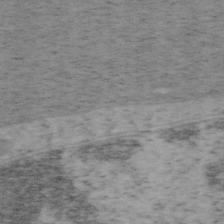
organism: Mouse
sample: OT-I killer T cells with ID8 ovarian cancer cells